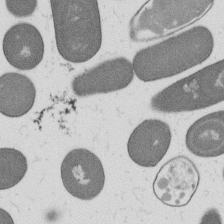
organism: B. subtilis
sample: Bacterial spore